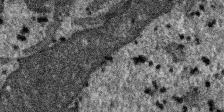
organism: Human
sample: Lung epithelial cells infected with SARS-CoV-2